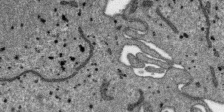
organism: Human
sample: Lung epithelial cells, uninfected (mock) control